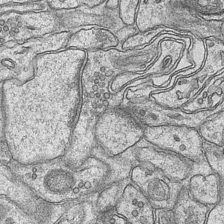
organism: Mouse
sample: CA1 Hippocampus